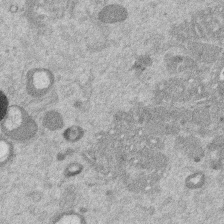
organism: Mouse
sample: Dividing mouse embryo 1 cell stage